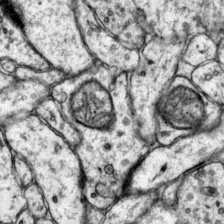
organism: Mouse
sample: Primary visual cortex